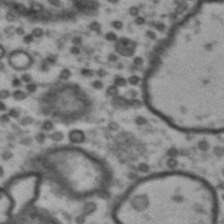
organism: Drosophila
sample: Brain